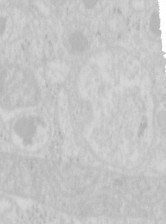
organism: Mouse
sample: Pancreas